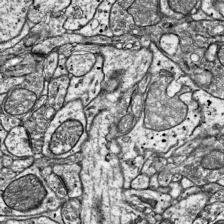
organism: Mouse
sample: Visual Cortex